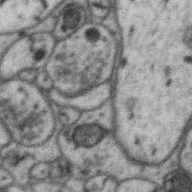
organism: Zebra finch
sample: Brain